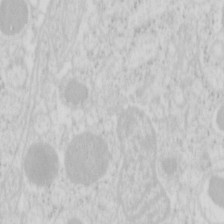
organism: Mouse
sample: Pancreas